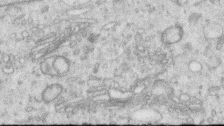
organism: Human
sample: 1205lu cells